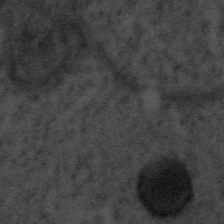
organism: Tuwongella immobilis